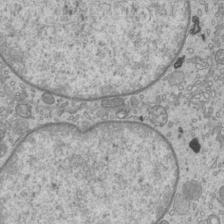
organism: Mouse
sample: Cilia; mouse epididymis